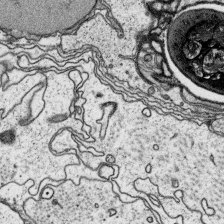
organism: Platynereis dumerilii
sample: Parapodia